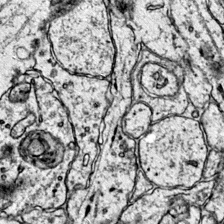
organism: Mouse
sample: Primary visual cortex